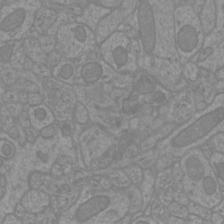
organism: Mouse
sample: Cortical neurons